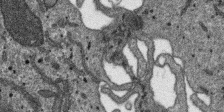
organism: Human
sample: Lung epithelial cells infected with SARS-CoV-2